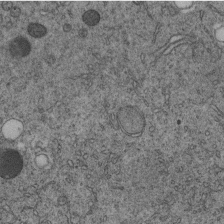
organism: C. elegans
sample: C. elegans embryo early stage